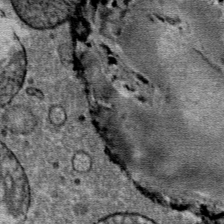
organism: Mouse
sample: Mouse Salivary gland